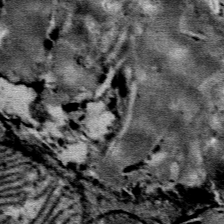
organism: Mouse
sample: Mouse Salivary gland